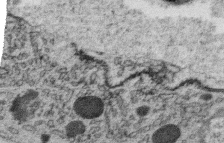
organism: C. elegans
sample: C. elegans oocyte; sperm cells